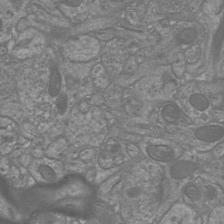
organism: Mouse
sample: Cortical neurons